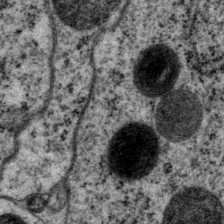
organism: P. pacificus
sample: Pharynx